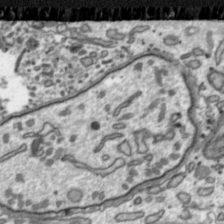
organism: Toxoplasma gondii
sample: Parasites in a vacuole inside a host cell